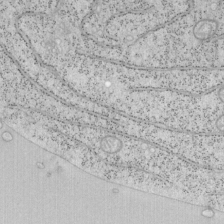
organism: Mouse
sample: OT-I killer T cells with ID8 ovarian cancer cells